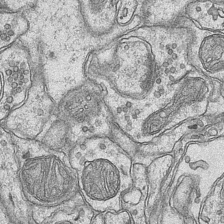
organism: Mouse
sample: CA1 Hippocampus